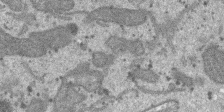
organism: Human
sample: Lung epithelial cells infected with SARS-CoV-2